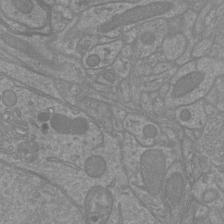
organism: Mouse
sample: Cortical neurons